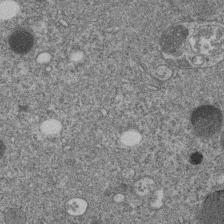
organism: C. elegans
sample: C. elegans embryo early stage